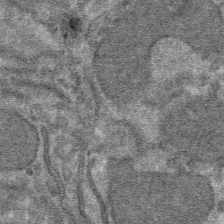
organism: Mouse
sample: Mouse hepatocytes